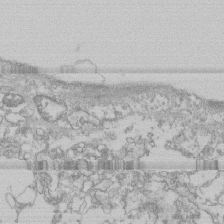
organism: Human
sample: CRL-1474